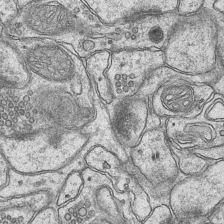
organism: Mouse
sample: CA1 Hippocampus